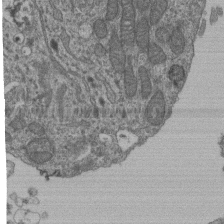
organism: Human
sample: Retinal organoid Rod and Cone cells